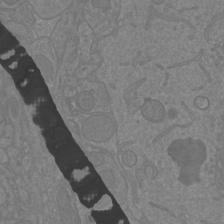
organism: Mouse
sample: Cortical neurons